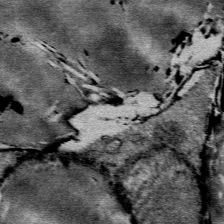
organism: Mouse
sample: Mouse Salivary gland